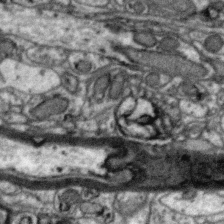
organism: Zebra finch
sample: Brain